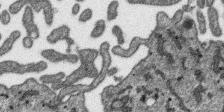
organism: Human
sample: Lung epithelial cells infected with SARS-CoV-2